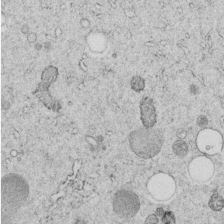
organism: C. elegans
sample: C. elegans embryo early stage